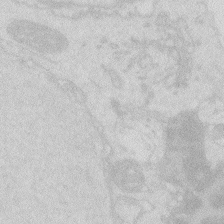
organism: Zebrafish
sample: Macrophage